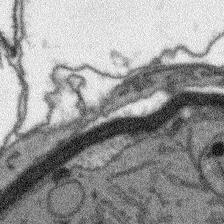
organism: Arabidopsis thaliana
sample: Root tip